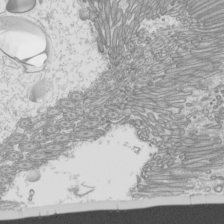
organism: Mouse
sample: Cilia; mouse epididymis